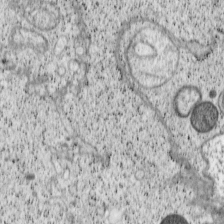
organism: African green monkey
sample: COS-7 cells